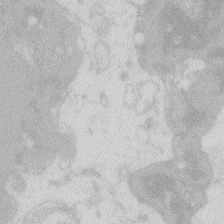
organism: Zebrafish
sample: Macrophage